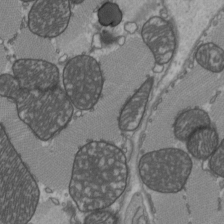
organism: C57BL Mouse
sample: Heart